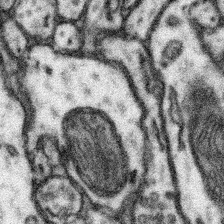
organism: Mouse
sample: Somatosensory cortex neuropil